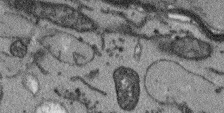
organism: Arabidopsis thaliana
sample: Root tip